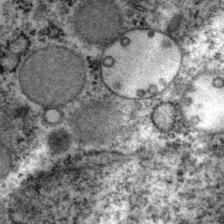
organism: P. pacificus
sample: Pharynx